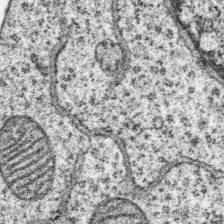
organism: Human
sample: HeLa cells